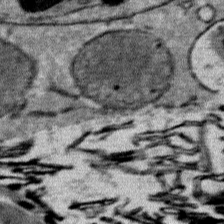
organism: Mouse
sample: Mouse Salivary gland